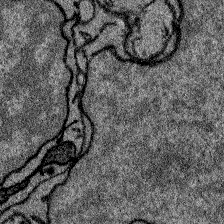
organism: Zebrafish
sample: Larval olfactory bulb